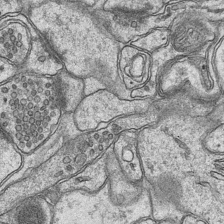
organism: Mouse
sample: CA1 Hippocampus